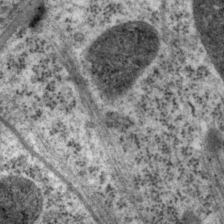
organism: P. pacificus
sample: Pharynx